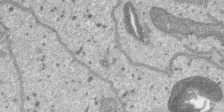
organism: Human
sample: Lung epithelial cells infected with SARS-CoV-2